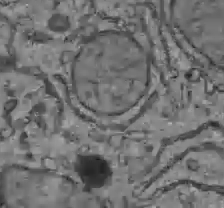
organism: C57BL Mouse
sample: Liver